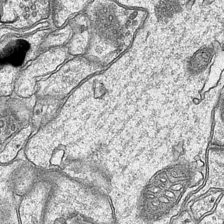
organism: Mouse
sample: CA1 Hippocampus